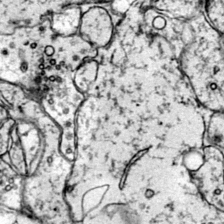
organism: Mouse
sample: Primary visual cortex